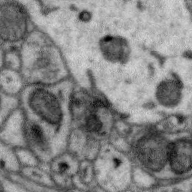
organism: Zebra finch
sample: Brain